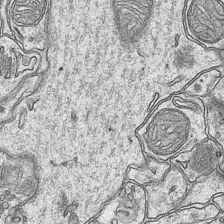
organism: Mouse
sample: CA1 Hippocampus